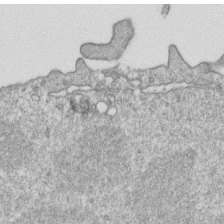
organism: Mouse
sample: Activated OT-1 CD8+ T cells